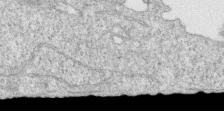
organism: Human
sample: HeLa cell HIV synapse